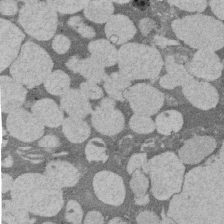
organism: Rat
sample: Salivary granule